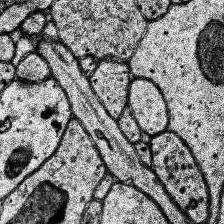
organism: Human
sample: Temporal Lobe